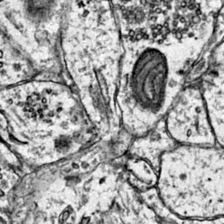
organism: Mouse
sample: Primary visual cortex